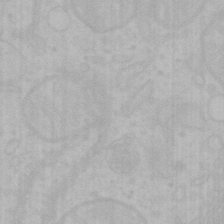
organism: Mouse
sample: Choroid plexus